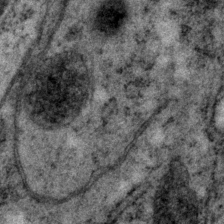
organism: P. pacificus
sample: Pharynx